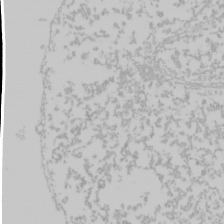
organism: Mouse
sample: Cancer cell death in ED-1 cells